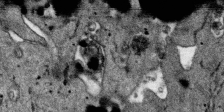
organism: Human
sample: Lung epithelial cells, uninfected (mock) control